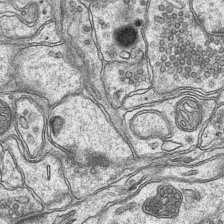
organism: Mouse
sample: CA1 Hippocampus